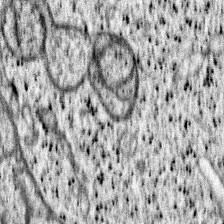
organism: Human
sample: HeLa cells